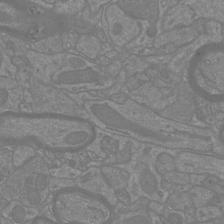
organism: Mouse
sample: Cortical neurons